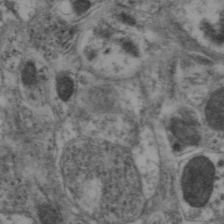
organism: Mouse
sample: Neocortex